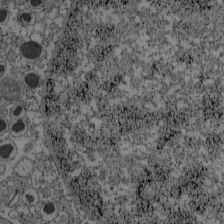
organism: C57BL Mouse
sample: Pancreatic islet